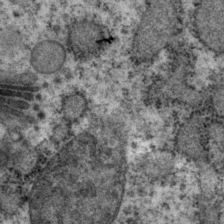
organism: P. pacificus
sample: Pharynx